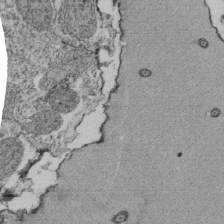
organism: Tetrahymena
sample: Cilia in tetrahymena